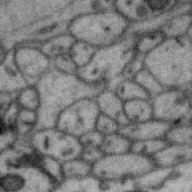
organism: Zebra finch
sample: Brain